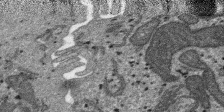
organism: Human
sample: Lung epithelial cells infected with SARS-CoV-2